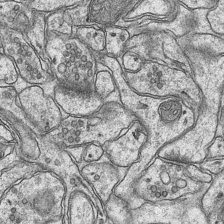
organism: Mouse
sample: CA1 Hippocampus